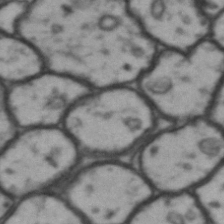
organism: Drosophila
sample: Brain